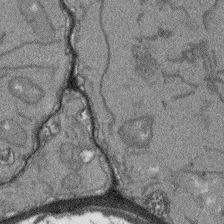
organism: Arabidopsis thaliana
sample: Root tip